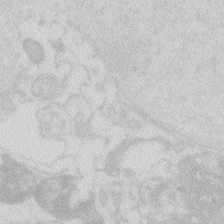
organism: Zebrafish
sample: Macrophage